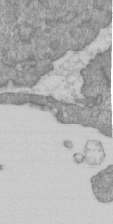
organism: Mouse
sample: ED-1 cell nuclei; centrioles